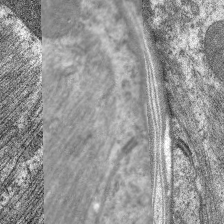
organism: C. elegans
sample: Pharynx